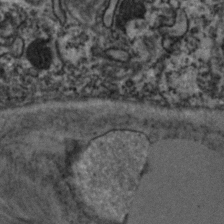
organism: Zebrafish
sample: Zebrafish embryo